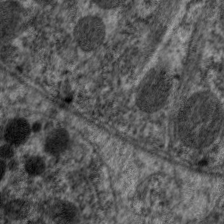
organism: C. elegans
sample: Pharynx